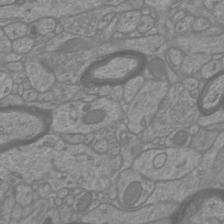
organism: Mouse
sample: Cortical neurons